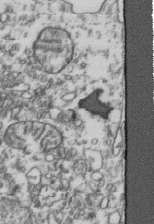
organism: Human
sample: Activated Jurkat CD4+ T cells